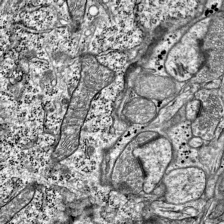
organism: Mouse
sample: Visual Cortex